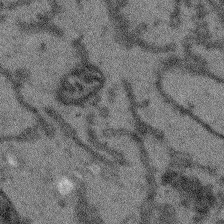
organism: Arabidopsis thaliana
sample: Root tip